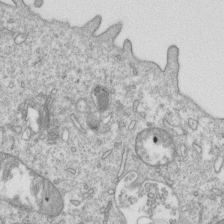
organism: Mouse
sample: Activated OT-1 CD8+ T cells